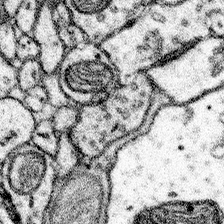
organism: Mouse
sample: Somatosensory cortex neuropil